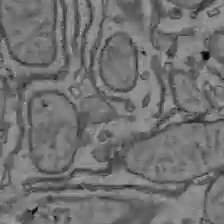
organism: C57BL Mouse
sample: Liver